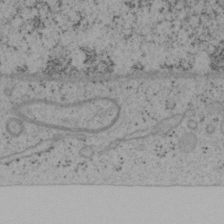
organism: Human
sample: HeLa cells